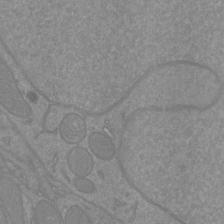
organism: Mouse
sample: Cortical neurons